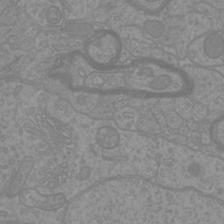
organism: Mouse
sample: Cortical neurons